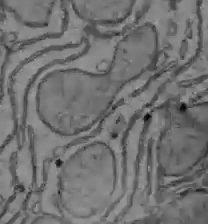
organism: C57BL Mouse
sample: Liver